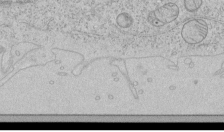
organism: Human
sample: Mitochondria in HCT116 cells